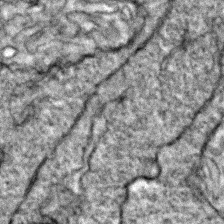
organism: Zebrafish